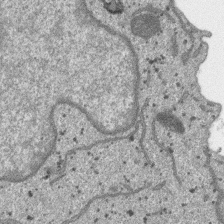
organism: Human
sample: Lung epithelial cells infected with SARS-CoV-2